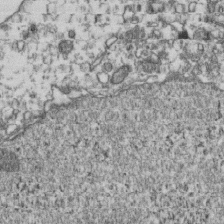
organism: Human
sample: Activated Jurkat CD4+ T cells